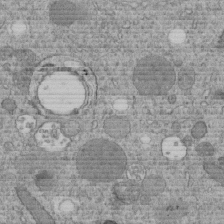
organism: C. elegans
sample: C. elegans embryo early stage